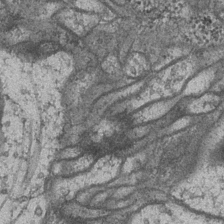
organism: Drosophila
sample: Optic medulla